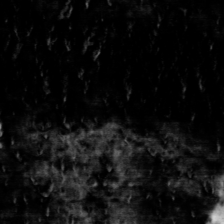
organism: Toxoplasma gondii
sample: Parasites in a vacuole inside a host cell